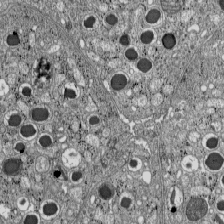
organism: C57BL Mouse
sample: Pancreatic islet